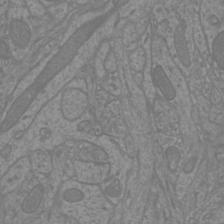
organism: Mouse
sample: Cortical neurons